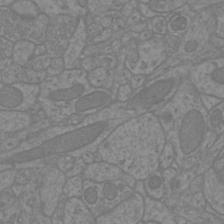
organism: Mouse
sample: Cortical neurons